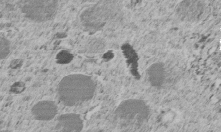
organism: C. elegans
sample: C. elegans embryo early stage